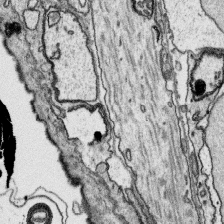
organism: Platynereis dumerilii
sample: Parapodia